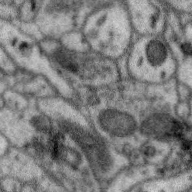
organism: Zebra finch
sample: Brain